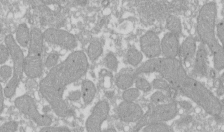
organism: Xenopus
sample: Cilia; centrioles in frog embryo cells